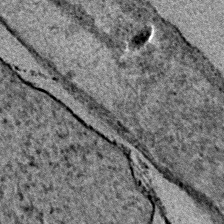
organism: E. coli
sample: E. Coli Bacteria